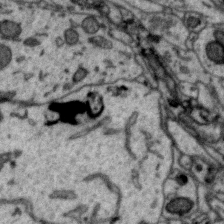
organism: Zebra finch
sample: Brain